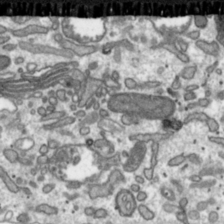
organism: Toxoplasma gondii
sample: Parasites in a vacuole inside a host cell